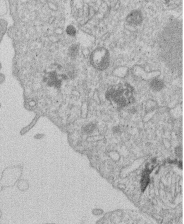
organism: Human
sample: Macrophage cells